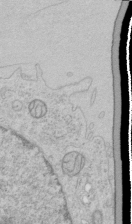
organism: Human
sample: Mitochondria in HCT116 cells